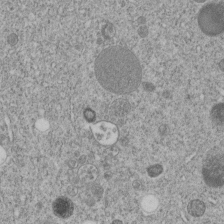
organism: C. elegans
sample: C. elegans embryo early stage